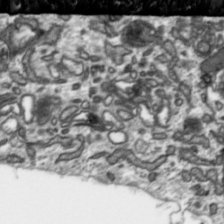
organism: Toxoplasma gondii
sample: Parasites in a vacuole inside a host cell